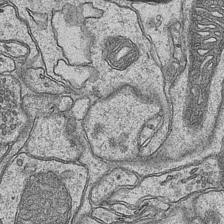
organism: Mouse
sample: CA1 Hippocampus